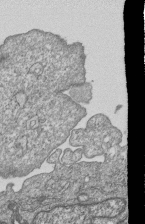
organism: Human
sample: MDA-MB-231 cells